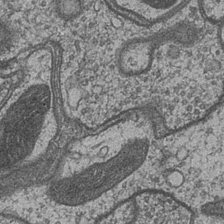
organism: Drosophila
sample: Optic medulla